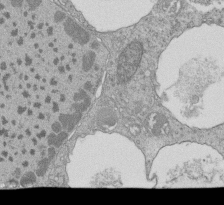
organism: Tetrahymena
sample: Cilia in tetrahymena